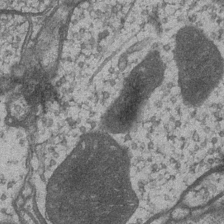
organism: Drosophila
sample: Optic medulla